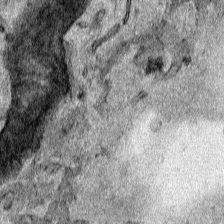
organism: Human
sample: Mitochondria in HCT116 cells